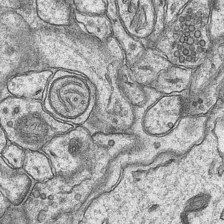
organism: Mouse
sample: CA1 Hippocampus